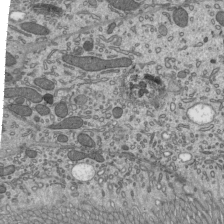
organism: Mouse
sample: Mouse epididymis efferent ductule cilia